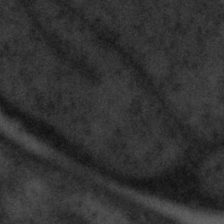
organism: Tuwongella immobilis